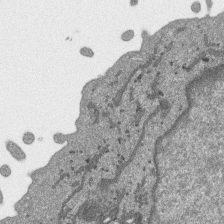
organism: Human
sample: Lung epithelial cells infected with SARS-CoV-2